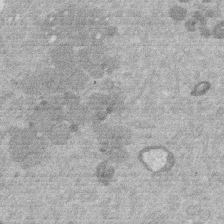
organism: Mouse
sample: Dividing mouse embryo 1 cell stage